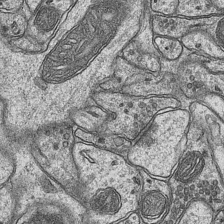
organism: Mouse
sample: CA1 Hippocampus